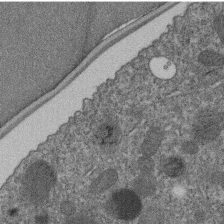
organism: C. elegans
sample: C. elegans embryo early stage